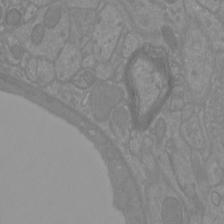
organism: Mouse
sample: Cortical neurons